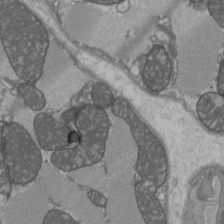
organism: C57BL Mouse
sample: Heart